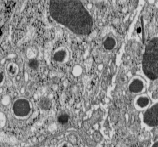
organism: C57BL Mouse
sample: Pancreatic islet